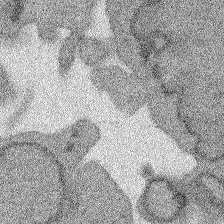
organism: Human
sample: HeLa cells